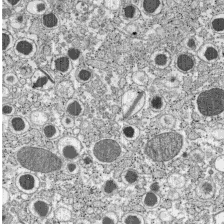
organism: C57BL Mouse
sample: Pancreatic islet